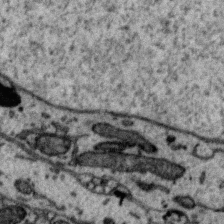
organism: Zebra finch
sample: Brain